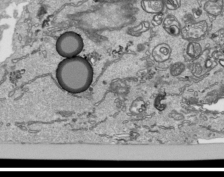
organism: Human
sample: Mitochondria in HCT116 cells